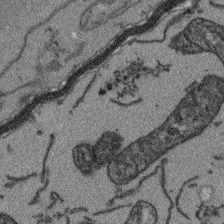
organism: Arabidopsis thaliana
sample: Root tip